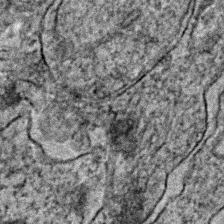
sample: Trachea